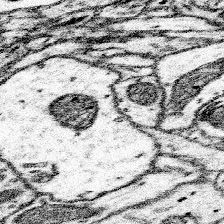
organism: Mouse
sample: Somatosensory cortex neuropil